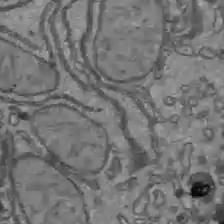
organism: C57BL Mouse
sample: Liver